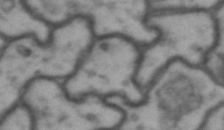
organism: Drosophila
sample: Brain